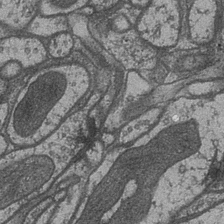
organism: Drosophila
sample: Optic medulla